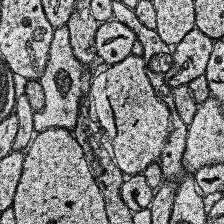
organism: Human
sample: Temporal Lobe